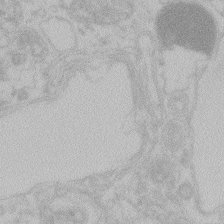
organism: Zebrafish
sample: Macrophage infected with Toxoplasma gondii